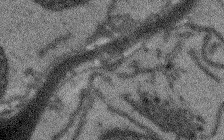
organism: Arabidopsis thaliana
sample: Root tip